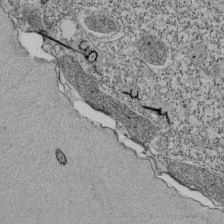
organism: Tetrahymena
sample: Cilia in tetrahymena